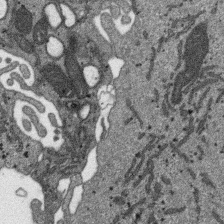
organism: Human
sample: Lung epithelial cells infected with SARS-CoV-2